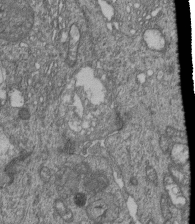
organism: Human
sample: Retinal organoid Rod and Cone cells